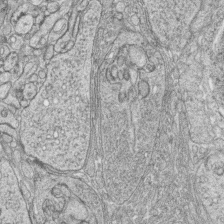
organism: Zebrafish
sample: synaptic ribbons in rod cells and cone cells